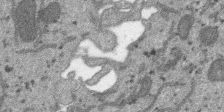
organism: Human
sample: Lung epithelial cells infected with SARS-CoV-2